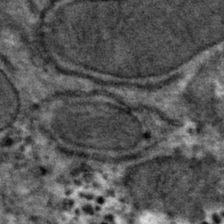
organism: Mouse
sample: Mouse hepatocytes